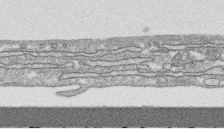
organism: Human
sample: CRL-1474